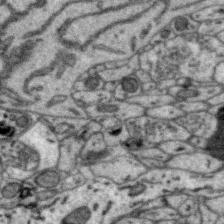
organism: Zebra finch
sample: Brain